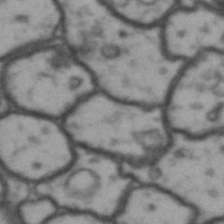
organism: Drosophila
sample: Brain